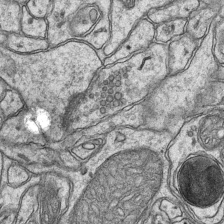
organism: Mouse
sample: CA1 Hippocampus